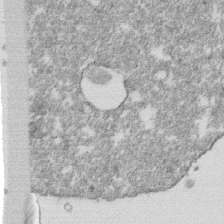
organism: African green monkey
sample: Vero E6 cells infected with SARS-CoV-2